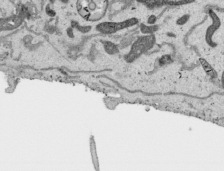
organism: Human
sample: Mitochondria in HCT116 cells